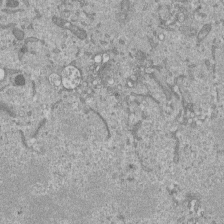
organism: Mouse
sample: ED-1 cell nuclei; centrioles